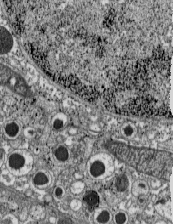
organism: C57BL Mouse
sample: Pancreatic islet